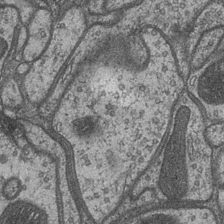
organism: Drosophila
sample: Optic medulla